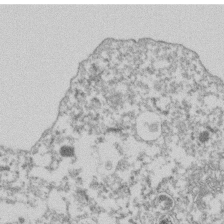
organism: Dictyostelium discoideum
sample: Dictyostelium multivesicular bodies